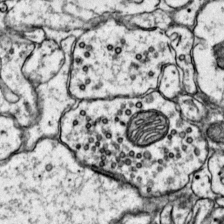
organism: Mouse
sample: Primary visual cortex